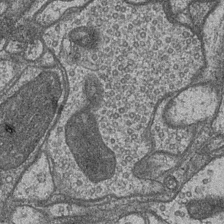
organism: Drosophila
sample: Optic medulla